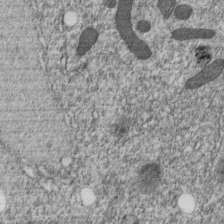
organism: C. elegans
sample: C. elegans embryo early stage